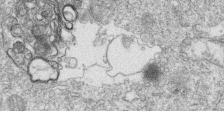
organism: Human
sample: HeLa cell HIV synapse